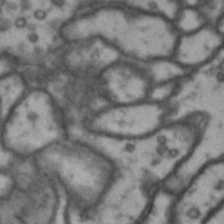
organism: Drosophila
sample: Brain